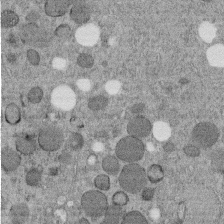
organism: C. elegans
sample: C. elegans embryo early stage